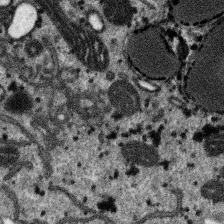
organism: Human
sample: Lung epithelial cells infected with SARS-CoV-2